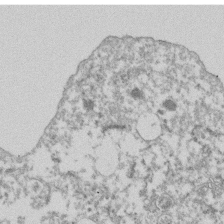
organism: Dictyostelium discoideum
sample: Dictyostelium multivesicular bodies